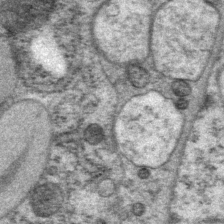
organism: P. pacificus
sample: Pharynx